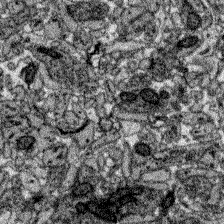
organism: Zebrafish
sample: Larval olfactory bulb